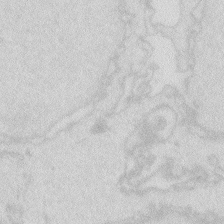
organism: Zebrafish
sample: Macrophage